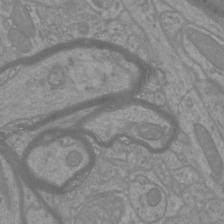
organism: Mouse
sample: Cortical neurons